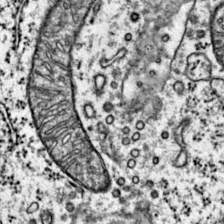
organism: Mouse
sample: Primary visual cortex